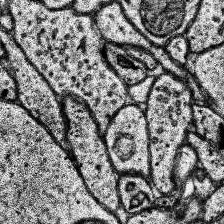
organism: Human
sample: Temporal Lobe